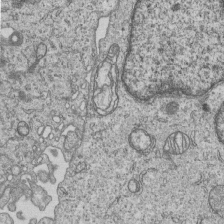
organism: Human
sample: MDA-MB-231 cells